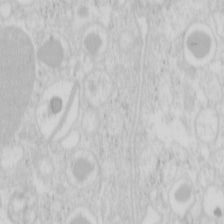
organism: Mouse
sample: Pancreas